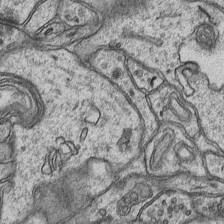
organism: Mouse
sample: CA1 Hippocampus